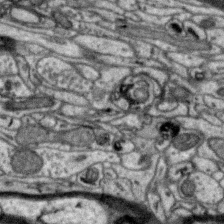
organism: Zebra finch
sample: Brain